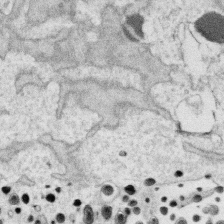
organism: Human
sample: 1205lu cells